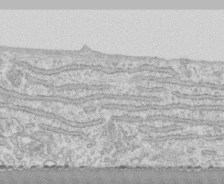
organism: Human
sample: CRL-1474